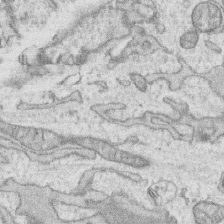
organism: Human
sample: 1205lu cells